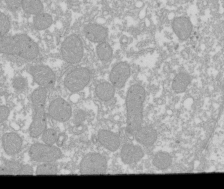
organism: Xenopus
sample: Cilia; centrioles in frog embryo cells